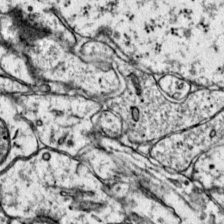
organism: Mouse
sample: Primary visual cortex